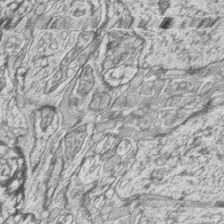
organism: Zebrafish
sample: synaptic ribbons in rod cells and cone cells